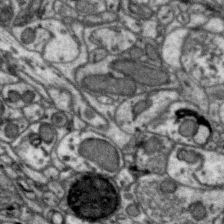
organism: Zebra finch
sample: Brain